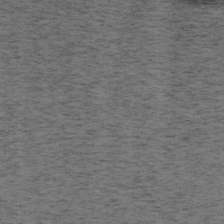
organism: Mouse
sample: OT-I killer T cells with ID8 ovarian cancer cells